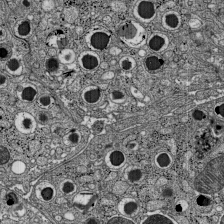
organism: C57BL Mouse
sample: Pancreatic islet